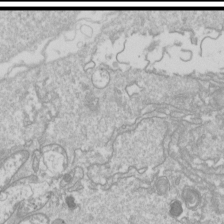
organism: Drosophila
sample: Cell division; meiosis; drosophila spermatocytes